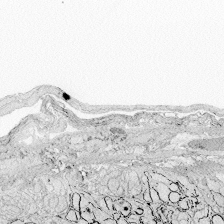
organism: Zebrafish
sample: Whole-Brain